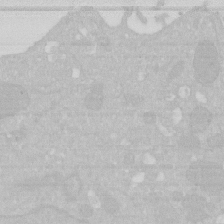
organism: Human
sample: HIV infected U937 cells